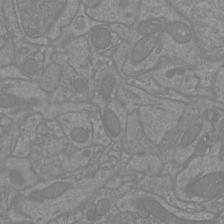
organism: Mouse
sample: Cortical neurons